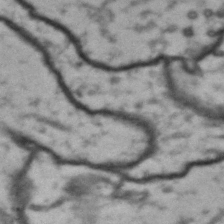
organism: Drosophila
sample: Brain